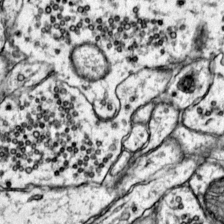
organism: Mouse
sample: Primary visual cortex